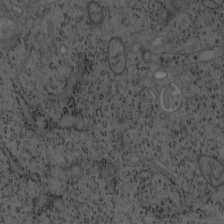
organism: Mouse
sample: OT-I killer T cells with ID8 ovarian cancer cells